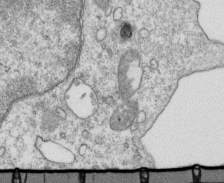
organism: Mouse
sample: Activated OT-1 CD8+ T cells